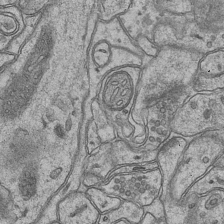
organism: Mouse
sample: CA1 Hippocampus